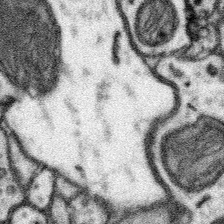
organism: Mouse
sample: Somatosensory cortex neuropil